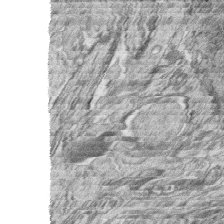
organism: Zebrafish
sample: synaptic ribbons in rod cells and cone cells